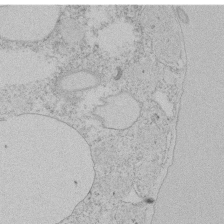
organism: Tetrahymena